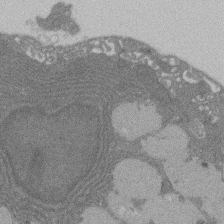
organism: Rat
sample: Salivary granule